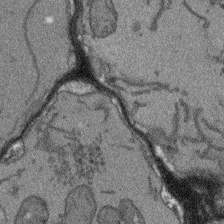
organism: Arabidopsis thaliana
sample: Root tip